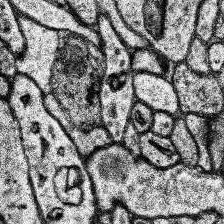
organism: Human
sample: Temporal Lobe